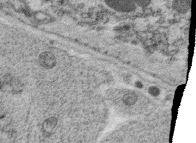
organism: C. elegans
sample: C. elegans oocyte; sperm cells